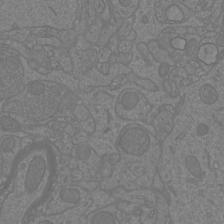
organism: Mouse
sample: Cortical neurons